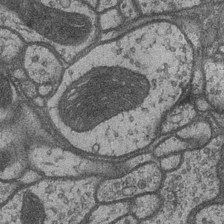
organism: Drosophila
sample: Optic medulla